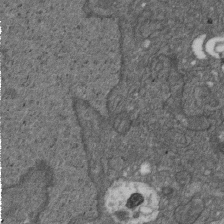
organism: Drosophila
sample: Nephrocyte